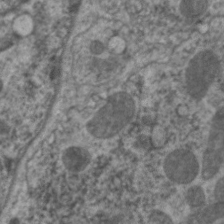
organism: C. elegans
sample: Pharynx